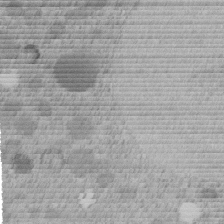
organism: C. elegans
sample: C. elegans embryo early stage